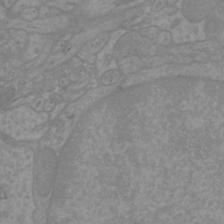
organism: Mouse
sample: Cortical neurons